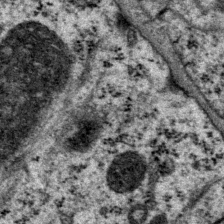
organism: P. pacificus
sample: Pharynx